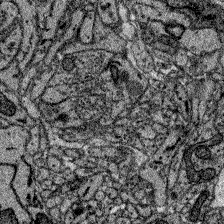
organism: Zebrafish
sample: Larval olfactory bulb